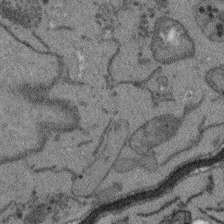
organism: Arabidopsis thaliana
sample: Root tip